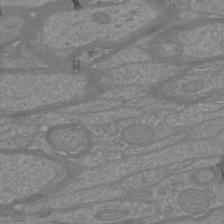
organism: Mouse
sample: Cortical neurons